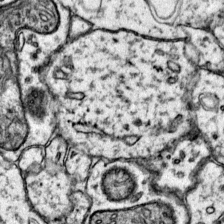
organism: Mouse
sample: Primary visual cortex